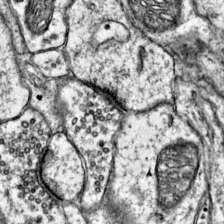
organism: Mouse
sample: Primary visual cortex